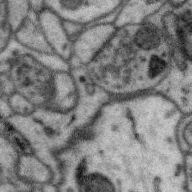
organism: Zebra finch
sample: Brain